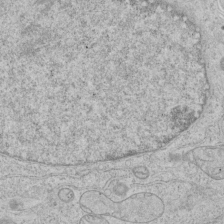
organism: Human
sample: Mitochondria in HCT116 cells